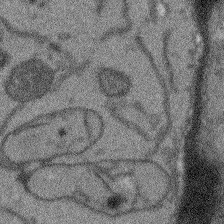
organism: Arabidopsis thaliana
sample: Root tip